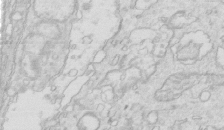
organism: Mouse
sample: Multiciliated cells